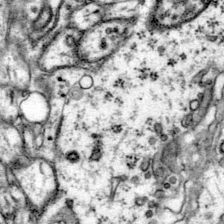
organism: Mouse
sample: Primary visual cortex